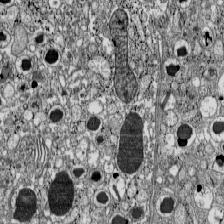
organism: C57BL Mouse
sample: Pancreatic islet